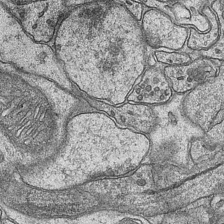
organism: Mouse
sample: CA1 Hippocampus